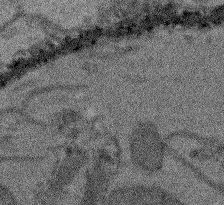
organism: Arabidopsis thaliana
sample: Root tip